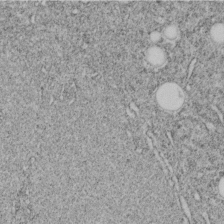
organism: C. elegans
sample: C. elegans embryo early stage